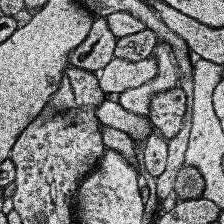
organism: Human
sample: Temporal Lobe